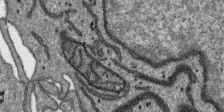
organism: Human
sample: Lung epithelial cells, uninfected (mock) control